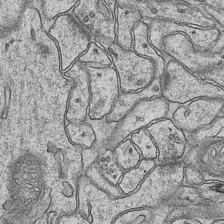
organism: Mouse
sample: CA1 Hippocampus